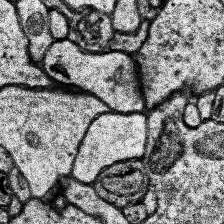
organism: Human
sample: Temporal Lobe